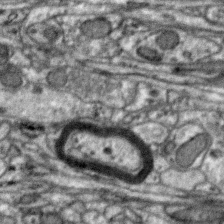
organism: Zebra finch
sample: Brain